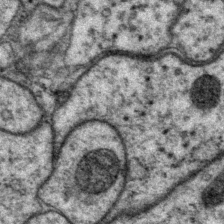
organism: P. pacificus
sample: Pharynx